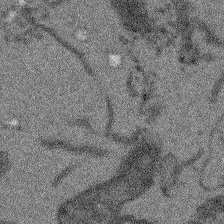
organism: Arabidopsis thaliana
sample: Root tip